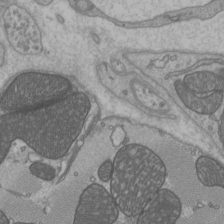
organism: C57BL Mouse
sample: Heart